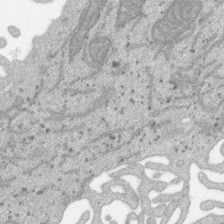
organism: Human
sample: Lung epithelial cells infected with SARS-CoV-2